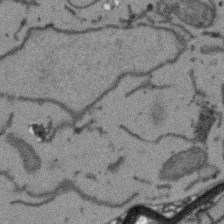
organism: Arabidopsis thaliana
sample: Root tip